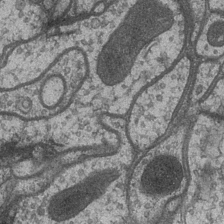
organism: Drosophila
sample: Optic medulla